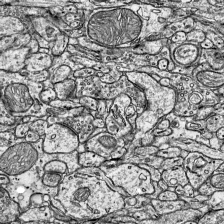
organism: Mouse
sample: Visual Cortex